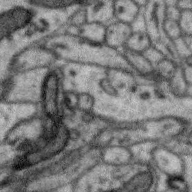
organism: Zebra finch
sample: Brain